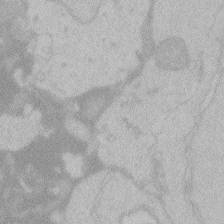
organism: Zebrafish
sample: Macrophage infected with Toxoplasma gondii